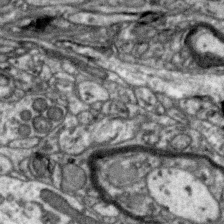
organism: Zebra finch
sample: Brain